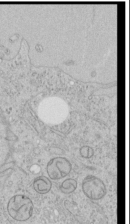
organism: Human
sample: Mitochondria in HCT116 cells